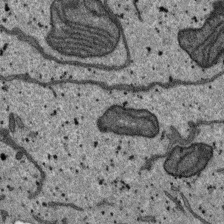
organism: Human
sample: Lung epithelial cells, uninfected (mock) control